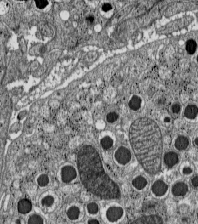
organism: C57BL Mouse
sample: Pancreatic islet